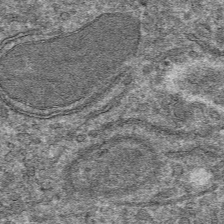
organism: Mouse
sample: Mouse hepatocytes